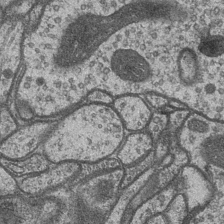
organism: Drosophila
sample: Optic medulla